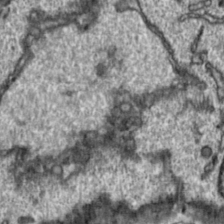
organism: Toxoplasma gondii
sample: Parasites in a vacuole inside a host cell